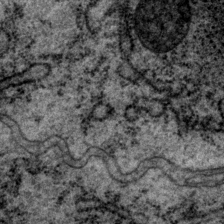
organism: P. pacificus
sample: Pharynx